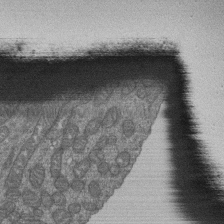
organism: Human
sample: Retinal organoid Rod and Cone cells